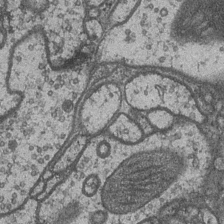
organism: Drosophila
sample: Optic medulla